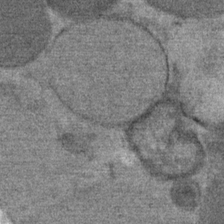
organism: Mouse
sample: Mouse Salivary gland